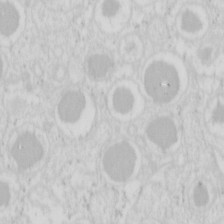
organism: Mouse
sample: Pancreas